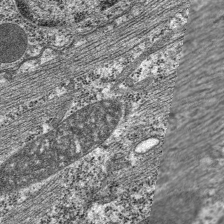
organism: C. elegans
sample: Pharynx